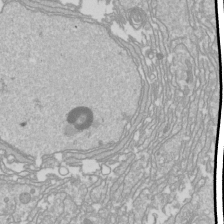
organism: Drosophila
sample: Cell division; meiosis; drosophila spermatocytes